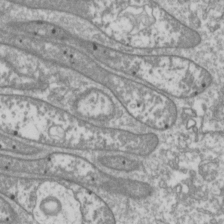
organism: Drosophila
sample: Cell division; meiosis; drosophila spermatocytes